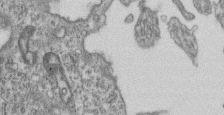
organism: Mouse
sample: Centriole in ependymal cells